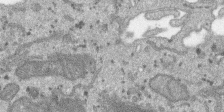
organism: Human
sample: Lung epithelial cells infected with SARS-CoV-2